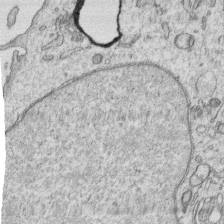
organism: Human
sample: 1205lu cells